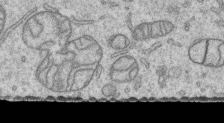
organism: Human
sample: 1205lu cells